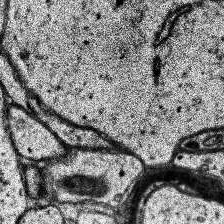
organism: Human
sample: Temporal Lobe